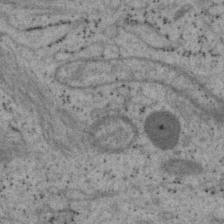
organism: Human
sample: HeLa cells